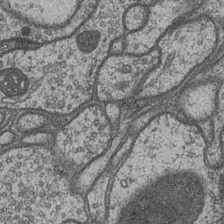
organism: Drosophila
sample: Optic medulla